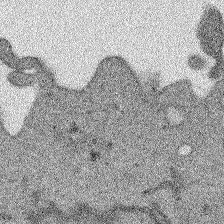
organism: Human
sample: HeLa cells